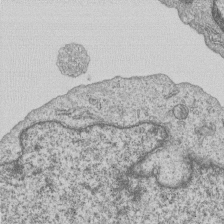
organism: Human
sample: MDA-MB-231 cells